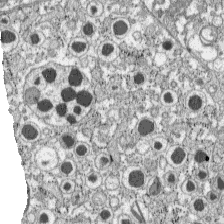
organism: C57BL Mouse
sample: Pancreatic islet